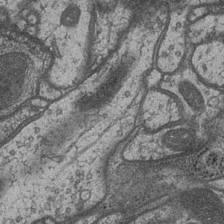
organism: Drosophila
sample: Optic medulla